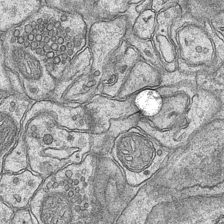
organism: Mouse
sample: CA1 Hippocampus